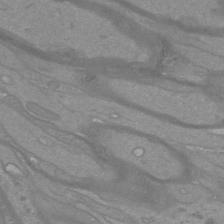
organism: Mouse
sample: Cortical neurons